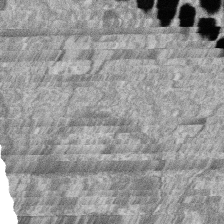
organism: Zebrafish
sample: Cilia; retinal pigment epithelium